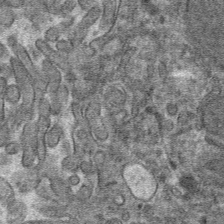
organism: Mouse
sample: Mouse hepatocytes